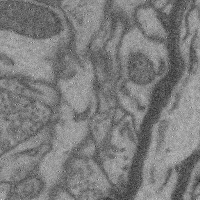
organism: Mouse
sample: Cerebral cortex